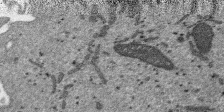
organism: Human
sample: Lung epithelial cells infected with SARS-CoV-2